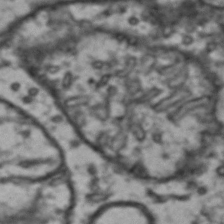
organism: Drosophila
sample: Brain